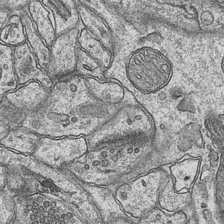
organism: Mouse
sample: CA1 Hippocampus